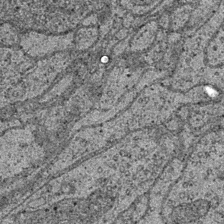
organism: Drosophila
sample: Optic medulla